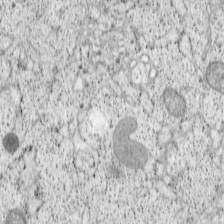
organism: African green monkey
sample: COS-7 cells